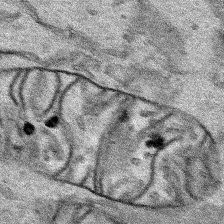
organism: Human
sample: Mitochondria in HCT116 cells